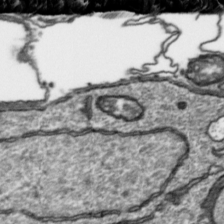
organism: Toxoplasma gondii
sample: Parasites in a vacuole inside a host cell